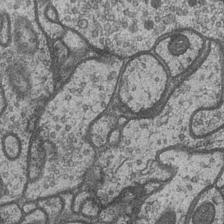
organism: Drosophila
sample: Optic medulla